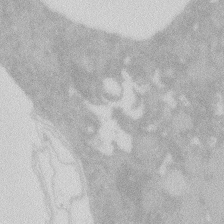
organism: Zebrafish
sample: Macrophage